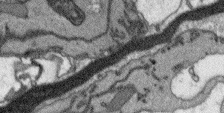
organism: Arabidopsis thaliana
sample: Root tip